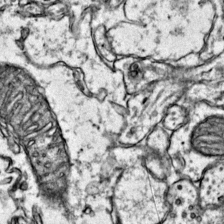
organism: Mouse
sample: Primary visual cortex